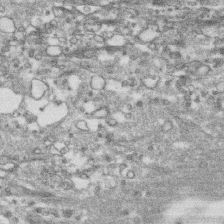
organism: Human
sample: CRL-1474